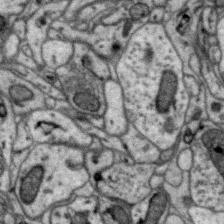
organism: Zebra finch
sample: Brain